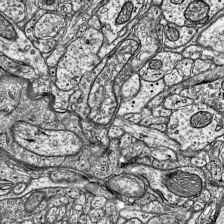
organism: Mouse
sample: Visual Cortex